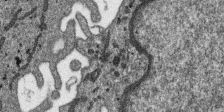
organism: Human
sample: Lung epithelial cells infected with SARS-CoV-2